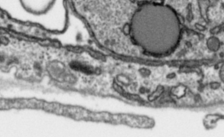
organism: Toxoplasma gondii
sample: Parasites in a vacuole inside a host cell